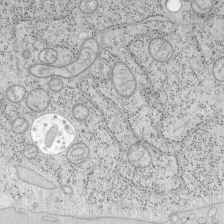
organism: Mouse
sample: OT-I killer T cells with ID8 ovarian cancer cells